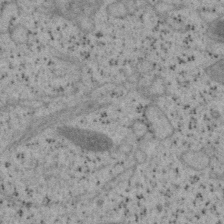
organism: Human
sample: HeLa cells